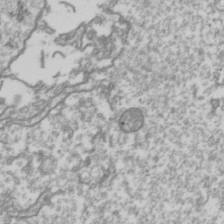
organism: Drosophila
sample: Cell division; meiosis; drosophila spermatocytes